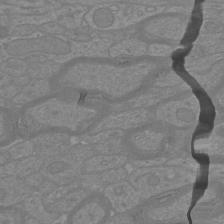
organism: Mouse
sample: Cortical neurons